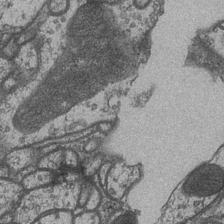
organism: Drosophila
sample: Optic medulla